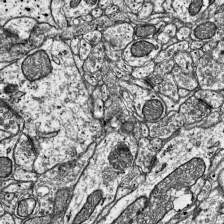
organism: Mouse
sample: Visual Cortex